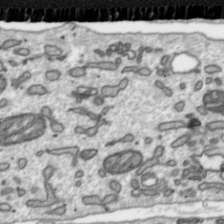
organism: Toxoplasma gondii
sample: Parasites in a vacuole inside a host cell